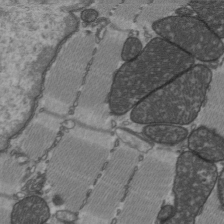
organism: C57BL Mouse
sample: Heart